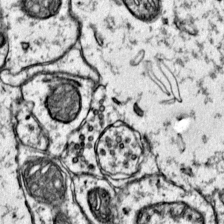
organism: Mouse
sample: Primary visual cortex